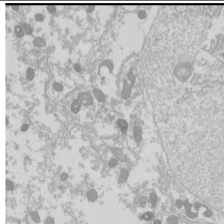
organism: Drosophila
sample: Cell division; meiosis; drosophila spermatocytes